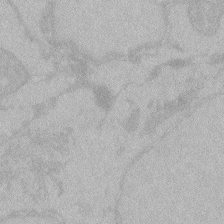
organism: Zebrafish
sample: Macrophage infected with Toxoplasma gondii